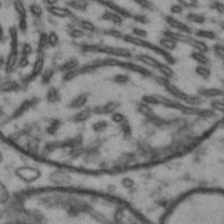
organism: Drosophila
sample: Brain